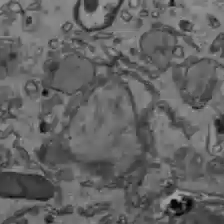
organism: C57BL Mouse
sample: Liver